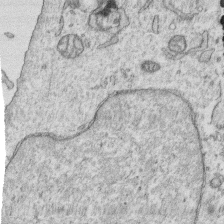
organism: Human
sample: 1205lu cells